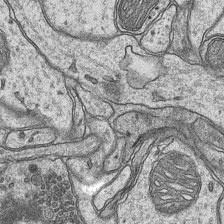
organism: Mouse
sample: CA1 Hippocampus